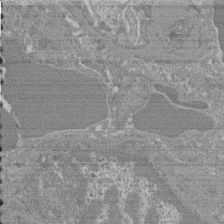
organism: Mouse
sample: Glomerulus